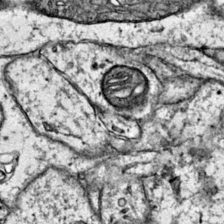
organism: Mouse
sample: Primary visual cortex